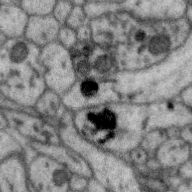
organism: Zebra finch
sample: Brain